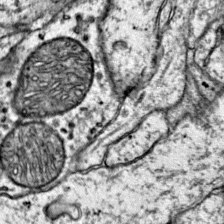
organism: Mouse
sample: Primary visual cortex